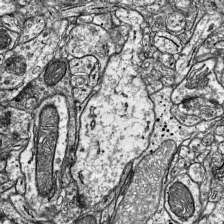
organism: Mouse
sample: Visual Cortex